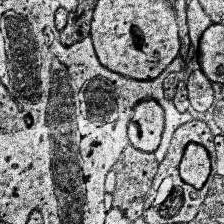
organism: Human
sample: Temporal Lobe